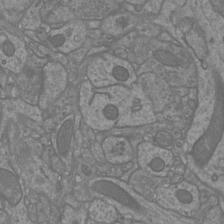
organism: Mouse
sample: Cortical neurons